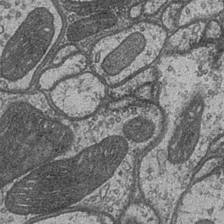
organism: Drosophila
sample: Optic medulla